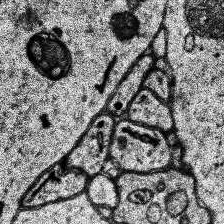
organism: Human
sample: Temporal Lobe